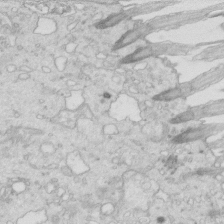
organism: Mouse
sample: Multiciliated cells